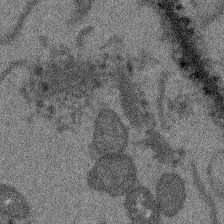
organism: Arabidopsis thaliana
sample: Root tip